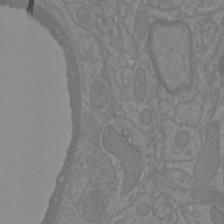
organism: Mouse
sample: Cortical neurons